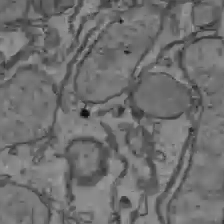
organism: C57BL Mouse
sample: Liver